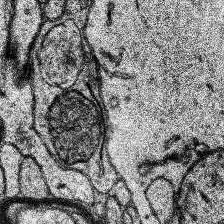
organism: Human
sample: Temporal Lobe